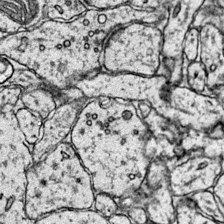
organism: Mouse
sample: Primary visual cortex